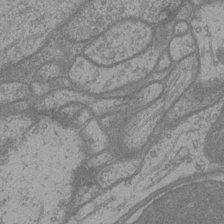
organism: Drosophila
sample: Optic medulla